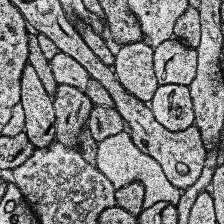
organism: Human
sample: Temporal Lobe